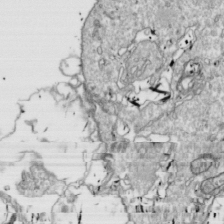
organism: Drosophila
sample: Cell division; meiosis; drosophila spermatocytes